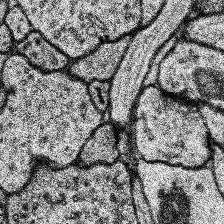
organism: Human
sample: Temporal Lobe